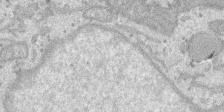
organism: Human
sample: Lung epithelial cells infected with SARS-CoV-2